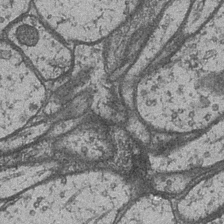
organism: Drosophila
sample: Optic medulla